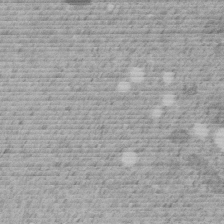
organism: C. elegans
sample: C. elegans embryo early stage